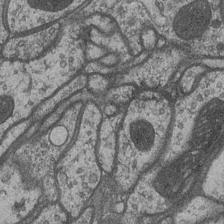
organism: Drosophila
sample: Optic medulla